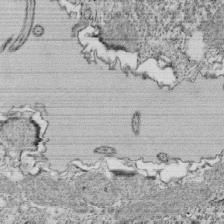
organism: Tetrahymena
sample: Cilia in tetrahymena